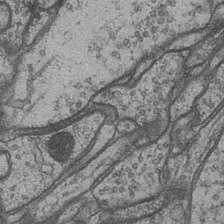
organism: Drosophila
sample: Optic medulla